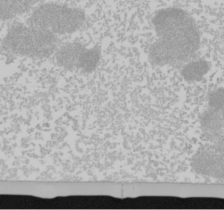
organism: Mouse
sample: Cancer cell death in ED-1 cells